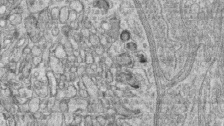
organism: Zebrafish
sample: synaptic ribbons in rod cells and cone cells